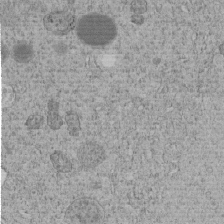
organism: C. elegans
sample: C. elegans embryo early stage